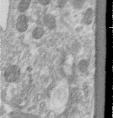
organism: Human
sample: Centriole in RPE cells